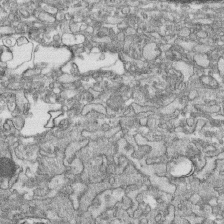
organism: Human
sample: CRL-1474